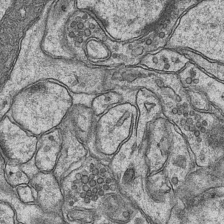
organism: Mouse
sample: CA1 Hippocampus